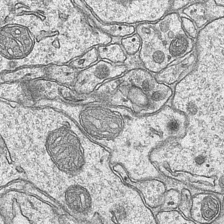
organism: Mouse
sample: CA1 Hippocampus